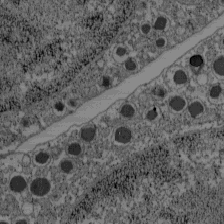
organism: C57BL Mouse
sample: Pancreatic islet